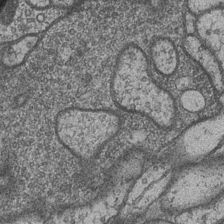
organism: Drosophila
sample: Optic medulla